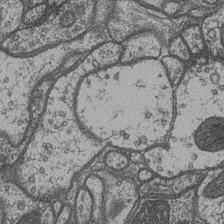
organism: Drosophila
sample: Optic medulla